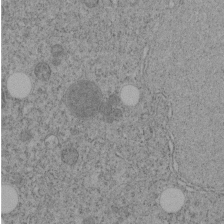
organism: C. elegans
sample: C. elegans embryo early stage